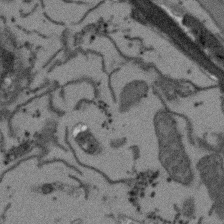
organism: Arabidopsis thaliana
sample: Root tip